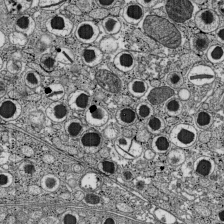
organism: C57BL Mouse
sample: Pancreatic islet